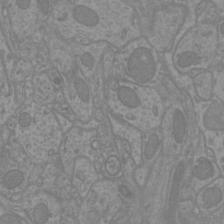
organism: Mouse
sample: Cortical neurons